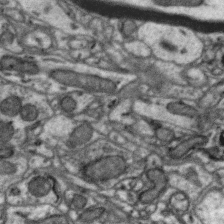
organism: Zebra finch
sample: Brain